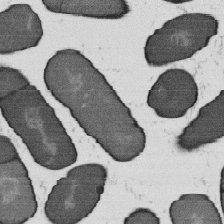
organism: B. subtilis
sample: Bacterial spore